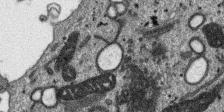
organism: Human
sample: Lung epithelial cells infected with SARS-CoV-2